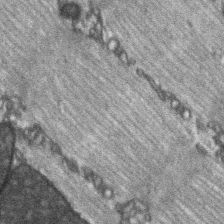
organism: C57BL Mouse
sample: Soleus